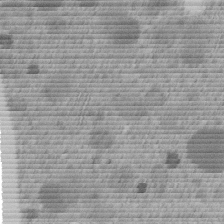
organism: C. elegans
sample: C. elegans embryo early stage